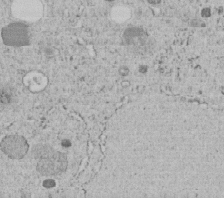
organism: C. elegans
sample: C. elegans embryo early stage